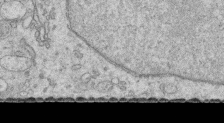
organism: Human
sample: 1205lu cells